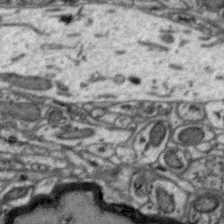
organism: Zebra finch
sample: Brain